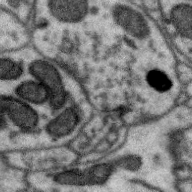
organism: Zebra finch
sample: Brain